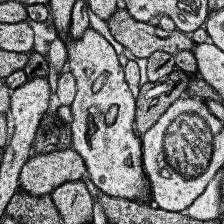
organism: Human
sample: Temporal Lobe